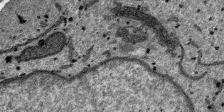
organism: Human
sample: Lung epithelial cells, uninfected (mock) control